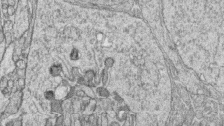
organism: Zebrafish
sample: synaptic ribbons in rod cells and cone cells